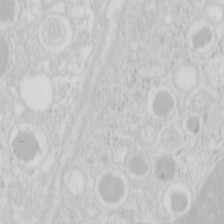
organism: Mouse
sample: Pancreas